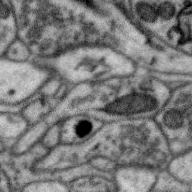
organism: Zebra finch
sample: Brain